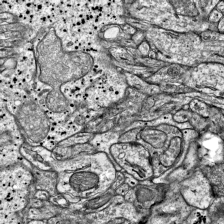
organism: Mouse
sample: Visual Cortex